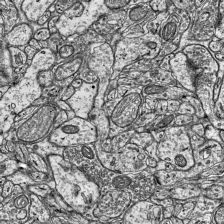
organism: Mouse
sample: Visual Cortex